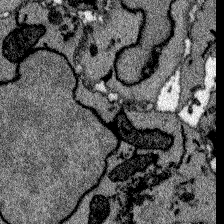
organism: Zebrafish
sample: Larval olfactory bulb